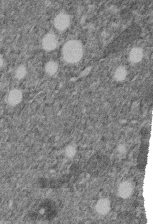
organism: C. elegans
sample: C. elegans embryo early stage